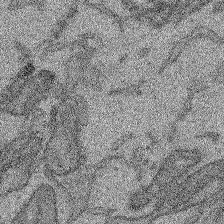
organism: Human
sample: HeLa cells